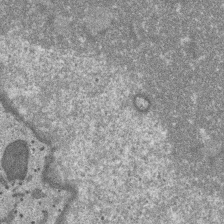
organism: Human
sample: Lung epithelial cells infected with SARS-CoV-2